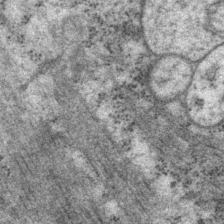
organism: P. pacificus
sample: Pharynx